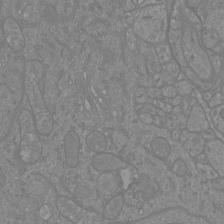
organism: Mouse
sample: Cortical neurons